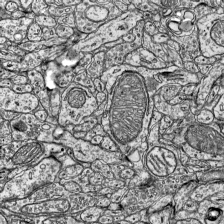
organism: Mouse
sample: Visual Cortex